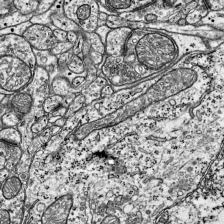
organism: Mouse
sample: Visual Cortex